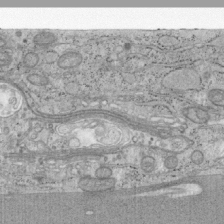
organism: Human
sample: HeLa cells